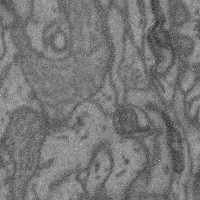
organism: Mouse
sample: Cerebral cortex